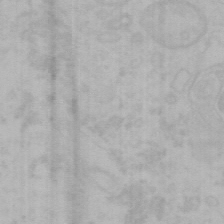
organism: Mouse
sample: Choroid plexus